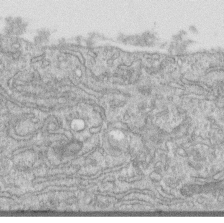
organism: Human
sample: Centriole in RPE cells